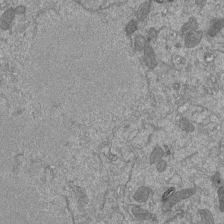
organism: Mouse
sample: ED-1 cell nuclei; centrioles